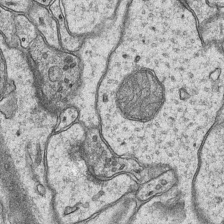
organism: Mouse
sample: CA1 Hippocampus